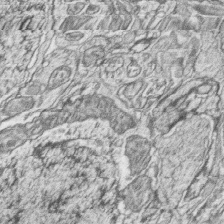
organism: Zebrafish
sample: synaptic ribbons in rod cells and cone cells